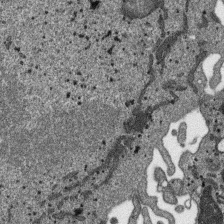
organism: Human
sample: Lung epithelial cells infected with SARS-CoV-2